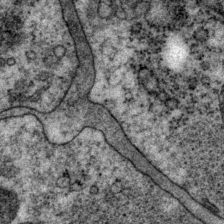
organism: P. pacificus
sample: Pharynx